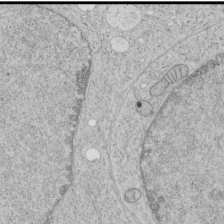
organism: Human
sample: Mitochondria in HCT116 cells